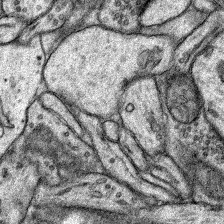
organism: Rat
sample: Hippocampus